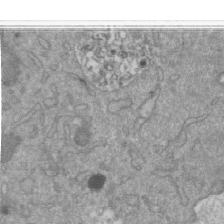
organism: Mouse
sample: ED-1 cell nuclei; centrioles